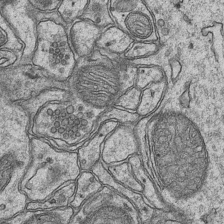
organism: Mouse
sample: CA1 Hippocampus